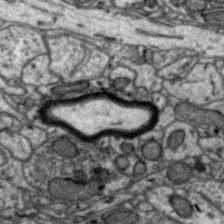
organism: Zebra finch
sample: Brain